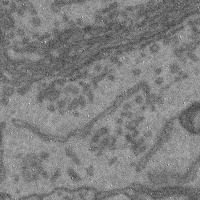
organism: Mouse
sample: Cerebral cortex